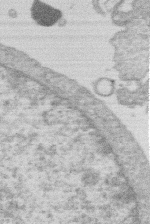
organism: Human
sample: Macrophage cells